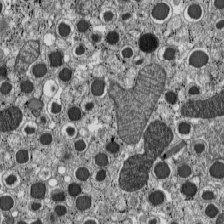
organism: C57BL Mouse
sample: Pancreatic islet